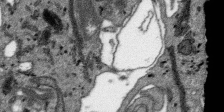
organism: Human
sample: Lung epithelial cells, uninfected (mock) control